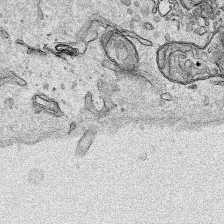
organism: Human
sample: Mitochondria in HCT116 cells